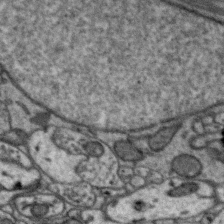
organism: Zebra finch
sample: Brain